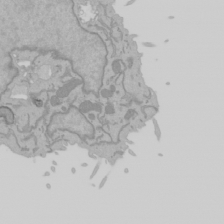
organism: Mouse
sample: Cancer cell death in ED-1 cells